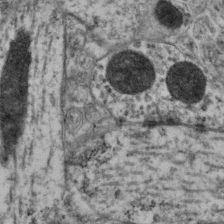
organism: Mouse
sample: Neocortex